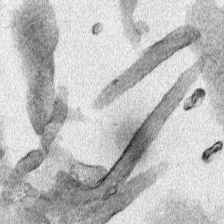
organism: Human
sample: Mitochondria in HCT116 cells